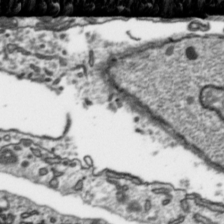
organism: Toxoplasma gondii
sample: Parasites in a vacuole inside a host cell